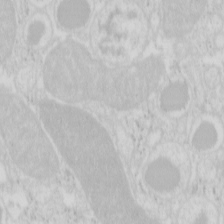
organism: Mouse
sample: Pancreas